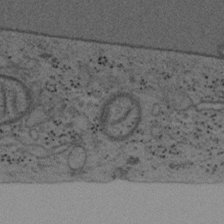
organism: Human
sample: HeLa cells